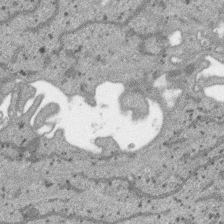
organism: Human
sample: Lung epithelial cells infected with SARS-CoV-2